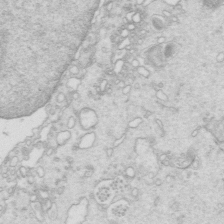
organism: Mouse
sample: Multiciliated cells